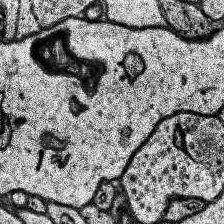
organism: Human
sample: Temporal Lobe